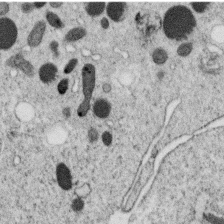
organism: C. elegans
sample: C. elegans oocyte; sperm cells